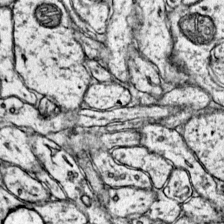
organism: Mouse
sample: Primary visual cortex